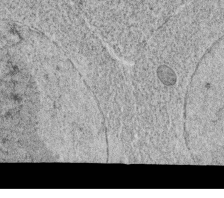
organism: C. elegans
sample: C. elegans oocyte; sperm cells